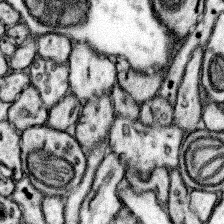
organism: Mouse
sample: Somatosensory cortex neuropil